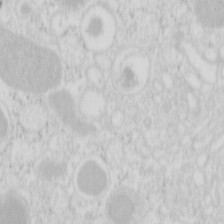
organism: Mouse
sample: Pancreas